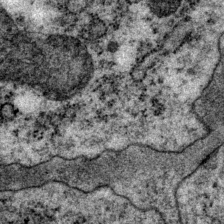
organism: P. pacificus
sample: Pharynx